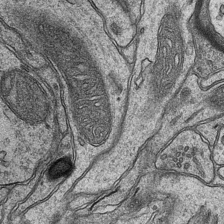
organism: Mouse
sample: CA1 Hippocampus